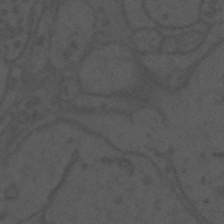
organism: Mouse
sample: Suprachiasmatic nucleus